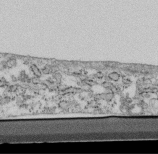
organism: Mouse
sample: Cilia; retinal pigment epithelium